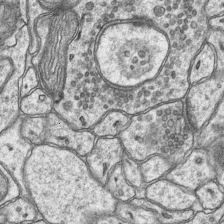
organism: Mouse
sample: CA1 Hippocampus